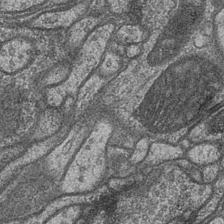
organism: Drosophila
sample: Optic medulla